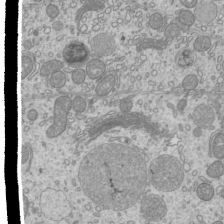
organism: Mouse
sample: Cilia; mouse epididymis